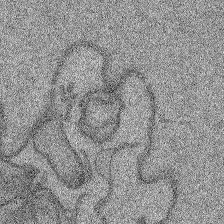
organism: Human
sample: HeLa cells